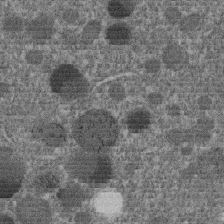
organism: C. elegans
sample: C. elegans embryo early stage